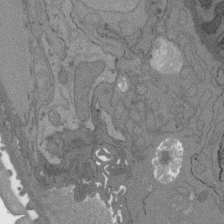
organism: C. elegans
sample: AFD neurons C. elegans